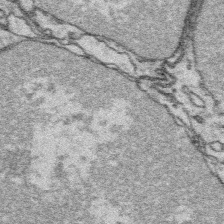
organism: Platynereis dumerilii